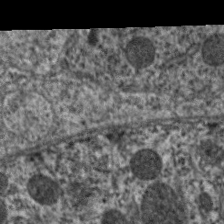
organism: C. elegans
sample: Pharynx